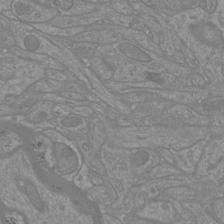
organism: Mouse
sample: Cortical neurons